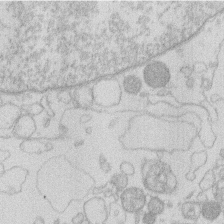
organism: Human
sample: Macrophage cells